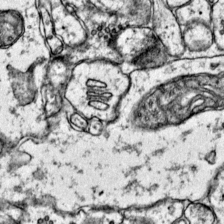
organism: Mouse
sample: Primary visual cortex